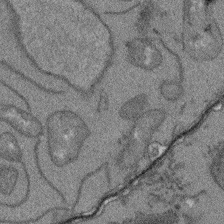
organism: Arabidopsis thaliana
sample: Root tip